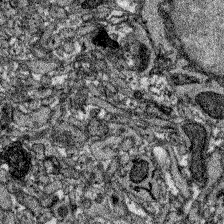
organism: Zebrafish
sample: Larval olfactory bulb